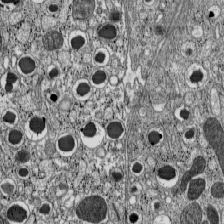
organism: C57BL Mouse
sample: Pancreatic islet